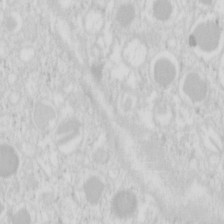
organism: Mouse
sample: Pancreas